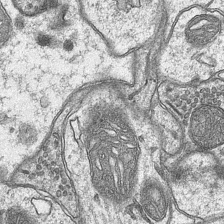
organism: Mouse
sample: CA1 Hippocampus